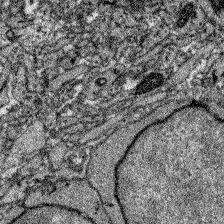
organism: Zebrafish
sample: Larval olfactory bulb